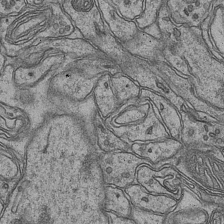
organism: Mouse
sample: CA1 Hippocampus